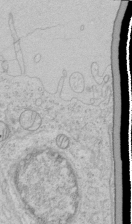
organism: Human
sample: Mitochondria in HCT116 cells